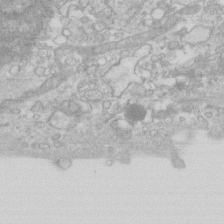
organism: Human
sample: Fibroblast cells